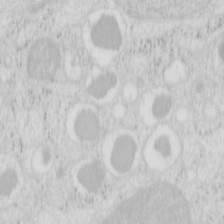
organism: Mouse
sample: Pancreas